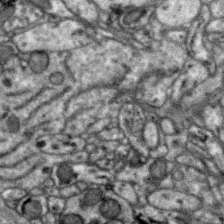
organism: Zebra finch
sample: Brain